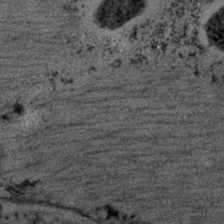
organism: C. elegans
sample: C. elegans embryo